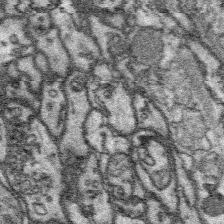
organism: Platynereis dumerilii